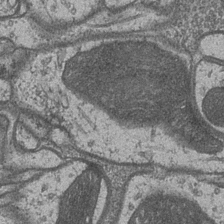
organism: Drosophila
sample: Optic medulla